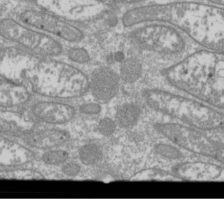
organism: Drosophila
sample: Cell division; meiosis; drosophila spermatocytes